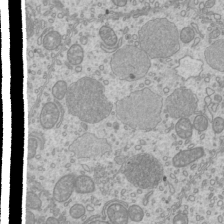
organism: Mouse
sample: Cilia; mouse epididymis